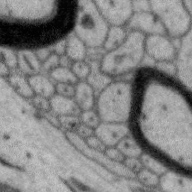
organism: Zebra finch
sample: Brain